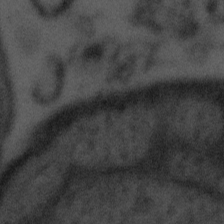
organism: Tuwongella immobilis